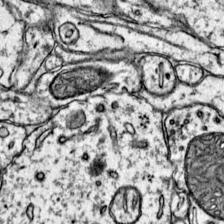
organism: Mouse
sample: Primary visual cortex